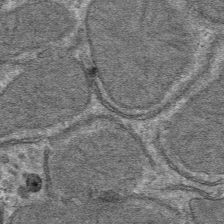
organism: Mouse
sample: Mouse hepatocytes